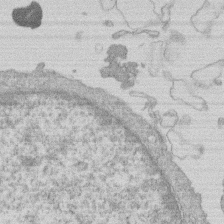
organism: Human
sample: Macrophage cells